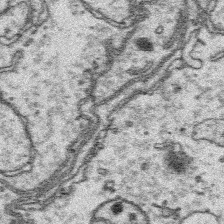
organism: Platynereis dumerilii